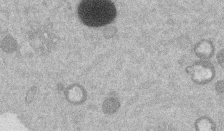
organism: Mouse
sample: Dividing mouse embryo 1 cell stage